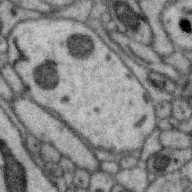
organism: Zebra finch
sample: Brain